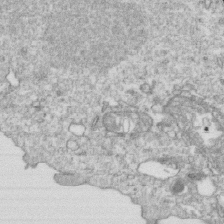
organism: Mouse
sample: Activated OT-1 CD8+ T cells